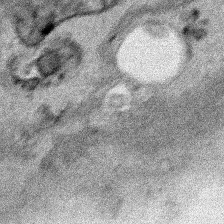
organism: Human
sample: Mitochondria in HCT116 cells